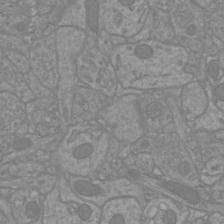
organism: Mouse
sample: Cortical neurons